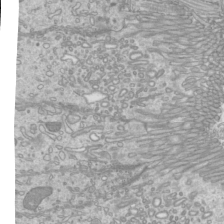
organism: Mouse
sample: Cilia; mouse epididymis